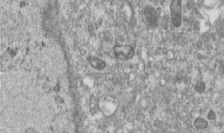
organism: Human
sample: Centriole in RPE cells